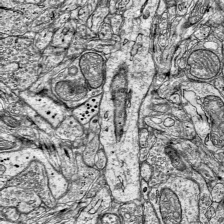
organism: Mouse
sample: Visual Cortex